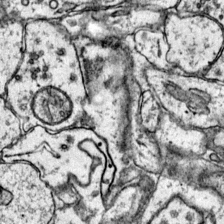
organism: Mouse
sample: Primary visual cortex